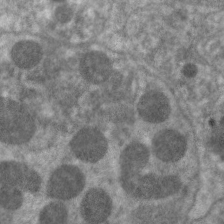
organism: C. elegans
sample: Pharynx